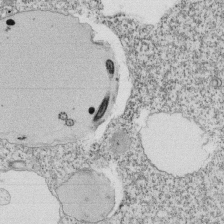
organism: Tetrahymena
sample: Cilia in tetrahymena